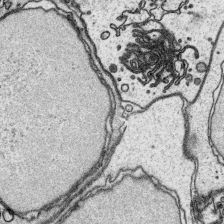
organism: Platynereis dumerilii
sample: Parapodia